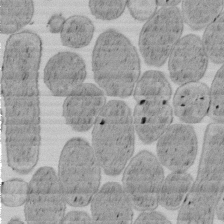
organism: E. coli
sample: Bacterial nucleoid